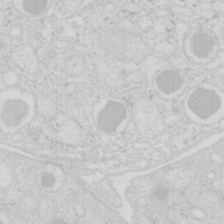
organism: Mouse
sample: Pancreas